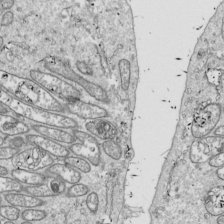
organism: Drosophila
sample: Cell division; meiosis; drosophila spermatocytes